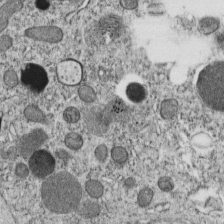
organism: C. elegans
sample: C. elegans embryo early stage